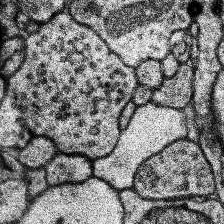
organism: Human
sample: Temporal Lobe